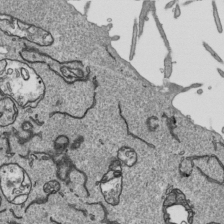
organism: Human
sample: Mitochondria in HCT116 cells